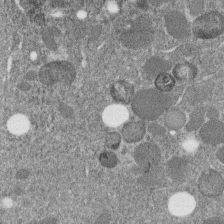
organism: C. elegans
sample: C. elegans embryo early stage